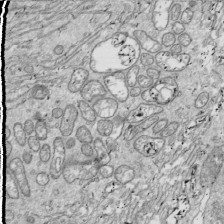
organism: Drosophila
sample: Cell division; meiosis; drosophila spermatocytes